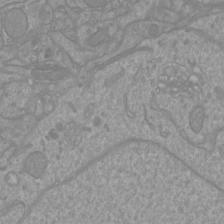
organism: Mouse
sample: Cortical neurons